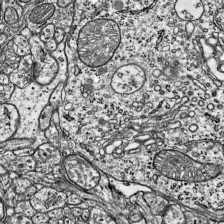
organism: Mouse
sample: Visual Cortex